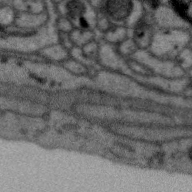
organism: Zebra finch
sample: Brain